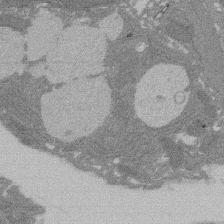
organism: Rat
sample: Salivary granule